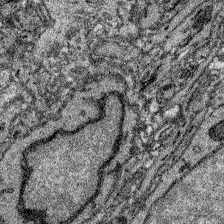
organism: Zebrafish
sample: Larval olfactory bulb